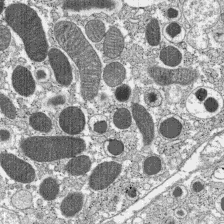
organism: C57BL Mouse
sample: Pancreatic islet